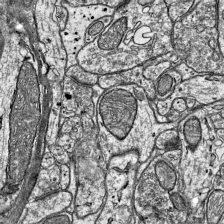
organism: Mouse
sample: Visual Cortex